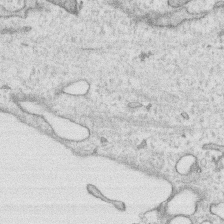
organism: Human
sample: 1205lu cells